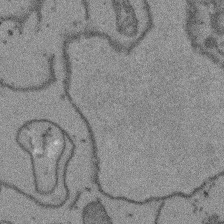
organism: Arabidopsis thaliana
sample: Root tip